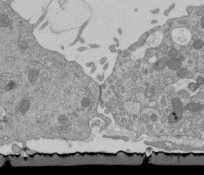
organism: Mouse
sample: ED-1 cell nuclei; centrioles